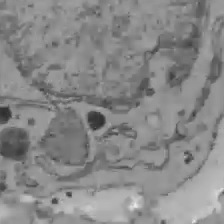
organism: C57BL Mouse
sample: Liver